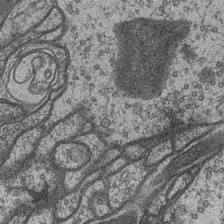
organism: Drosophila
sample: Optic medulla